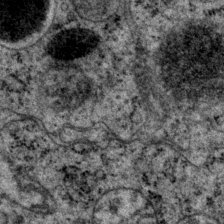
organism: P. pacificus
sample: Pharynx